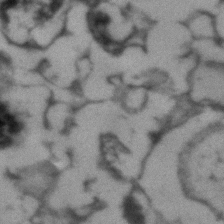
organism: Human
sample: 1205lu cells